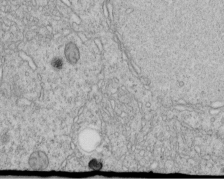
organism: C. elegans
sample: C. elegans embryo early stage